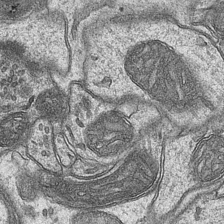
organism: Mouse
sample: CA1 Hippocampus